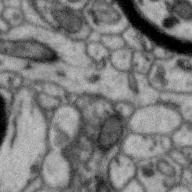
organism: Zebra finch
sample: Brain